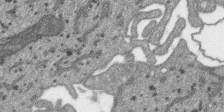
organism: Human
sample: Lung epithelial cells infected with SARS-CoV-2